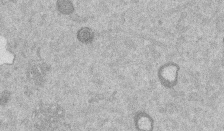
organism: Mouse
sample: Dividing mouse embryo 1 cell stage